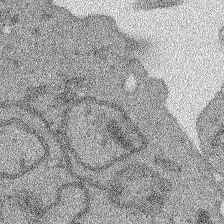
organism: Human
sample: HeLa cells